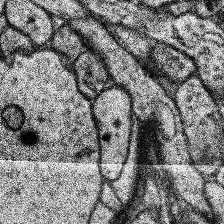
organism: Human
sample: Temporal Lobe